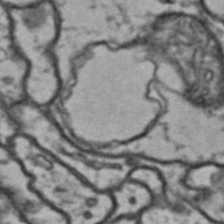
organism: Drosophila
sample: Brain